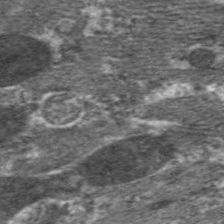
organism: C. elegans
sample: Pharynx